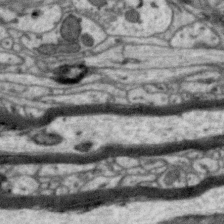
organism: Zebra finch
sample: Brain